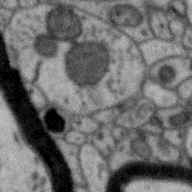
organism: Zebra finch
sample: Brain